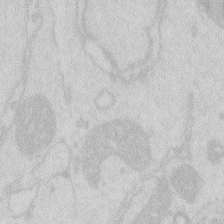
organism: Zebrafish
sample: Macrophage